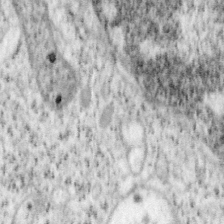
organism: Mouse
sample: OT-I killer T cells with ID8 ovarian cancer cells